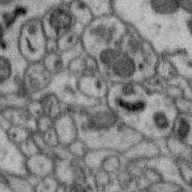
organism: Zebra finch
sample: Brain